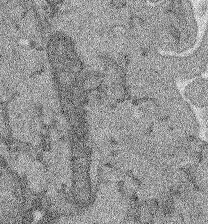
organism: Human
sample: HeLa cells